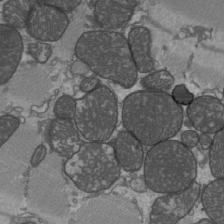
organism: C57BL Mouse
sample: Heart